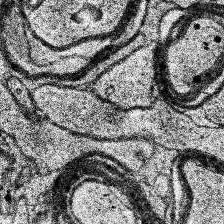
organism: Human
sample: Temporal Lobe